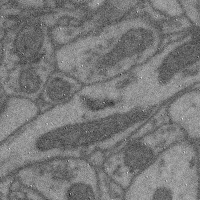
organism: Mouse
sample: Cerebral cortex